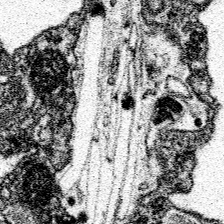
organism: Spongilla lacustris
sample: Neuroid cell